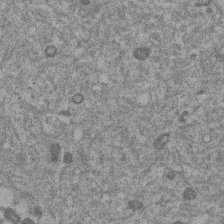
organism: Mouse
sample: Dividing mouse embryo 1 cell stage